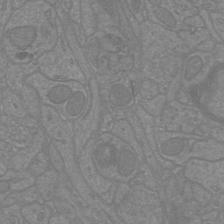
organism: Mouse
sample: Cortical neurons